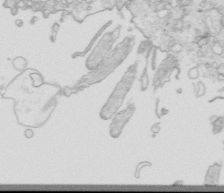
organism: Mouse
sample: Multiciliated cells